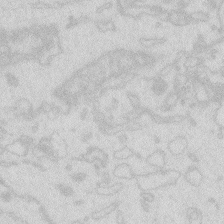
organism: Zebrafish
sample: Macrophage